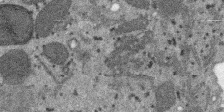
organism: Human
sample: Lung epithelial cells infected with SARS-CoV-2